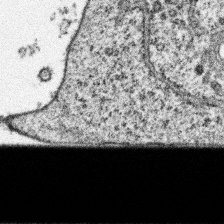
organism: Human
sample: HeLa cells